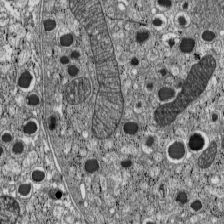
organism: C57BL Mouse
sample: Pancreatic islet